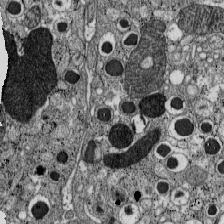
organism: C57BL Mouse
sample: Pancreatic islet